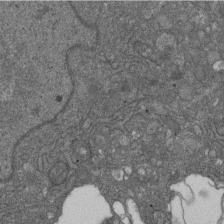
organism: Drosophila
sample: Nephrocyte